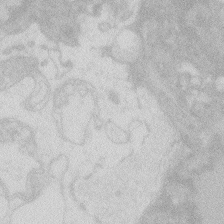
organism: Zebrafish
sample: Macrophage